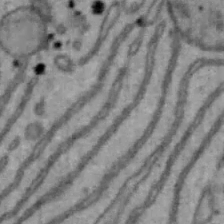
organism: Mouse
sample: Liver